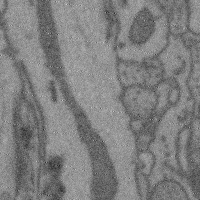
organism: Mouse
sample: Cerebral cortex